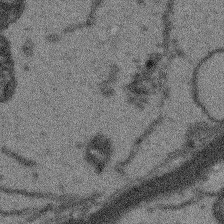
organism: Arabidopsis thaliana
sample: Root tip